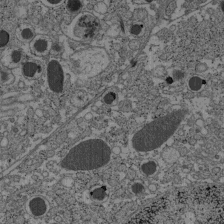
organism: C57BL Mouse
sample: Pancreatic islet